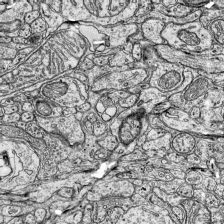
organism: Mouse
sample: Visual Cortex